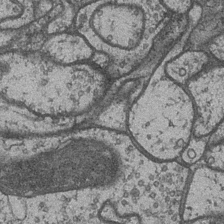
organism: Drosophila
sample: Optic medulla